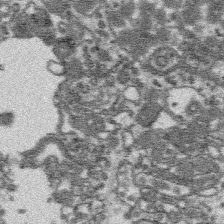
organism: Platynereis dumerilii